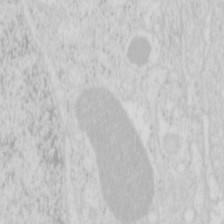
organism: Mouse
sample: Pancreas